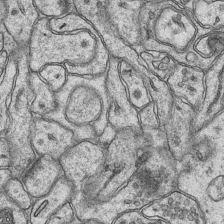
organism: Mouse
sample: CA1 Hippocampus